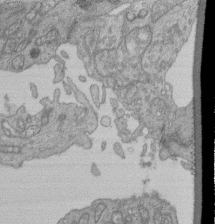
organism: Human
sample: Retinal organoid Rod and Cone cells